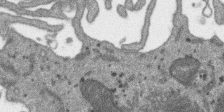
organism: Human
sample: Lung epithelial cells infected with SARS-CoV-2